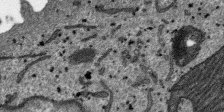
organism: Human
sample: Lung epithelial cells, uninfected (mock) control